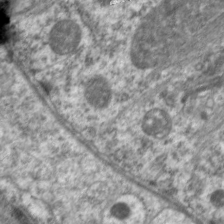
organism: C. elegans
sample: Pharynx